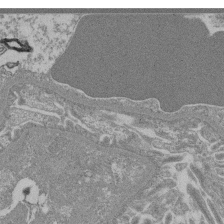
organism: Mouse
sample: Glomerulus